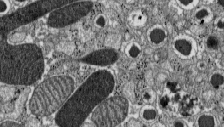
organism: C57BL Mouse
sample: Pancreatic islet